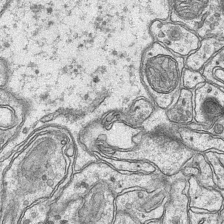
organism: Mouse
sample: CA1 Hippocampus